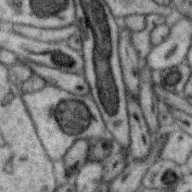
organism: Zebra finch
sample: Brain